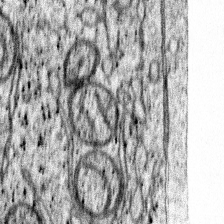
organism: Human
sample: HeLa cells